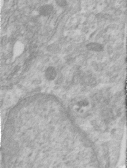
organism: Human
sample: Centriole in RPE cells